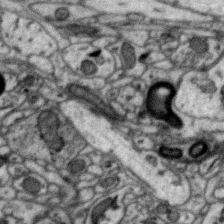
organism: Zebra finch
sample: Brain